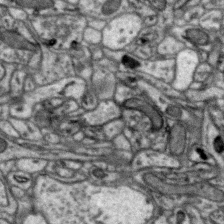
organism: Zebra finch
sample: Brain